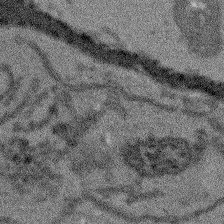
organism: Arabidopsis thaliana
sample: Root tip